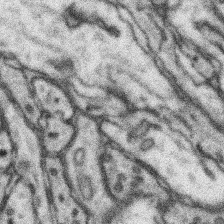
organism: Mouse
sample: Somatosensory cortex neuropil